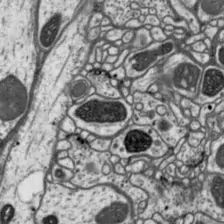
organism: Drosophila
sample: Protocerebral bridge